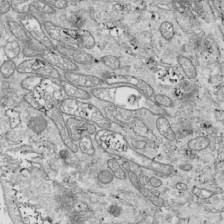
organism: Drosophila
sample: Cell division; meiosis; drosophila spermatocytes